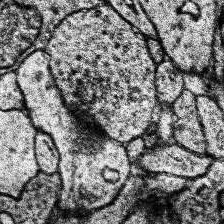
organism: Human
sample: Temporal Lobe